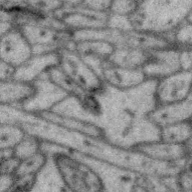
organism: Zebra finch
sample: Brain